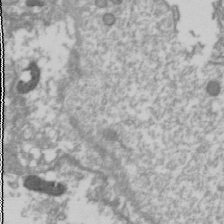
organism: Drosophila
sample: Cell division; meiosis; drosophila spermatocytes